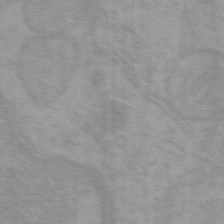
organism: Mouse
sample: Choroid plexus